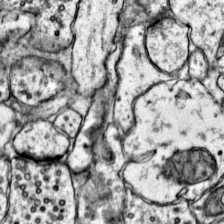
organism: Mouse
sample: Primary visual cortex